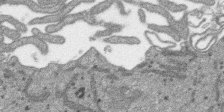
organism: Human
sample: Lung epithelial cells infected with SARS-CoV-2